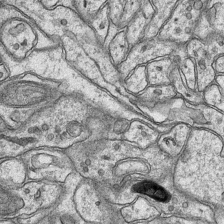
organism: Mouse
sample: CA1 Hippocampus